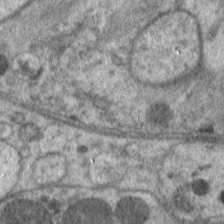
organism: C. elegans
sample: Pharynx